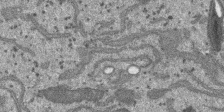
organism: Human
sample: Lung epithelial cells infected with SARS-CoV-2